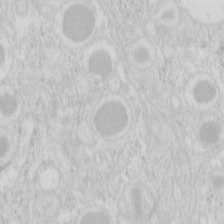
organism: Mouse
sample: Pancreas